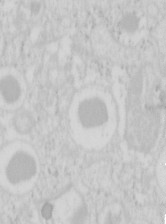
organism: Mouse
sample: Pancreas